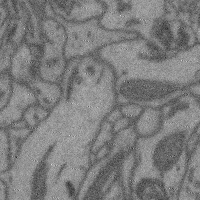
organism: Mouse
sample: Cerebral cortex